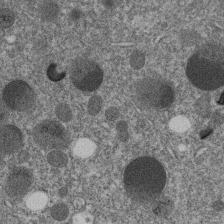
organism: C. elegans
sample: C. elegans embryo early stage